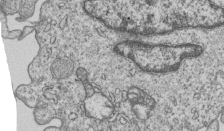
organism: Human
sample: MDA-MB-231 cells